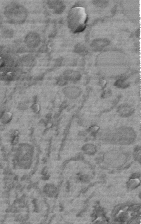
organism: C. elegans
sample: C. elegans embryo early stage